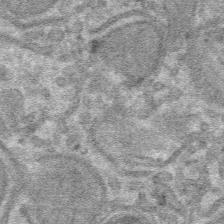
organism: Mouse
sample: Mouse hepatocytes